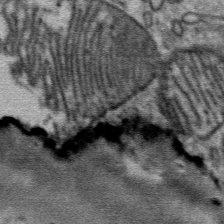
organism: Mouse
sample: Mouse Salivary gland